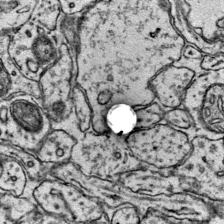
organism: Mouse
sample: Primary visual cortex